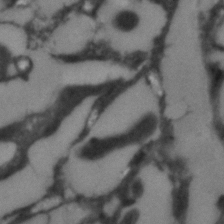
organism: C. elegans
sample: C. elegans embryo